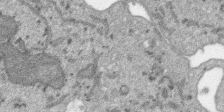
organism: Human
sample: Lung epithelial cells infected with SARS-CoV-2